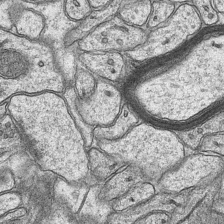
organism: Mouse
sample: CA1 Hippocampus